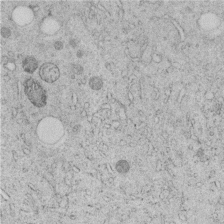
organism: C. elegans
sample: C. elegans embryo early stage